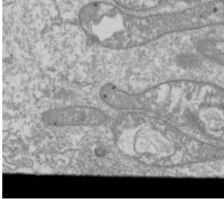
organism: Drosophila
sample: Cell division; meiosis; drosophila spermatocytes